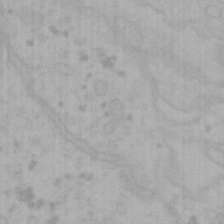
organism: Mouse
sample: Choroid plexus